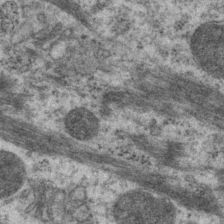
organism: P. pacificus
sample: Pharynx